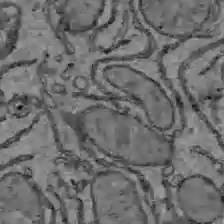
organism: C57BL Mouse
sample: Liver